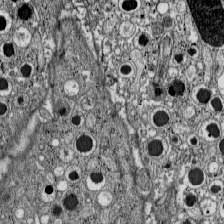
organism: C57BL Mouse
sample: Pancreatic islet